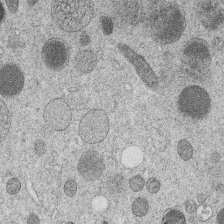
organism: C. elegans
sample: C. elegans embryo early stage